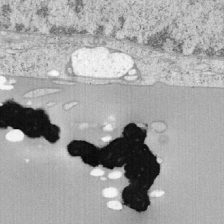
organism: Human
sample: HeLa cells